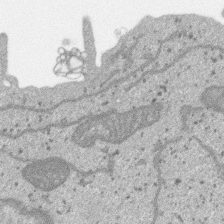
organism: Human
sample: Lung epithelial cells infected with SARS-CoV-2